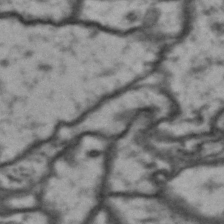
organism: Drosophila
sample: Brain